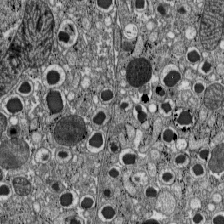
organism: C57BL Mouse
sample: Pancreatic islet